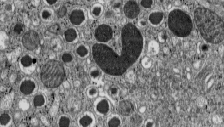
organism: C57BL Mouse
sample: Pancreatic islet